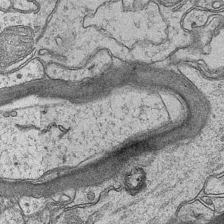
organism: Mouse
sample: CA1 Hippocampus